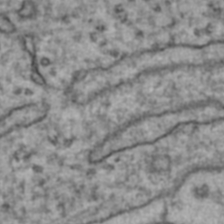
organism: Human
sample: Blood